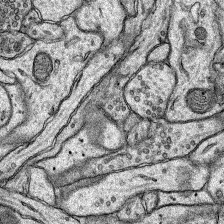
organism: Rat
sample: Hippocampus